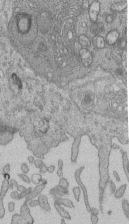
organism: Human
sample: Retinal organoid Rod and Cone cells